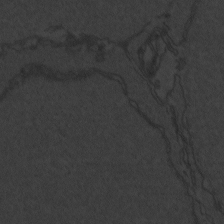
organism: Zebrafish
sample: Macrophage infected with Toxoplasma gondii